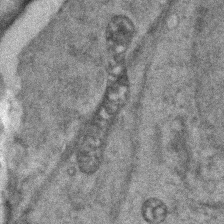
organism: Zebrafish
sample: Zebrafish embryo